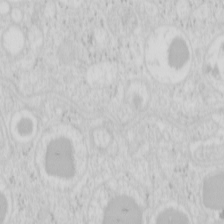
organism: Mouse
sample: Pancreas